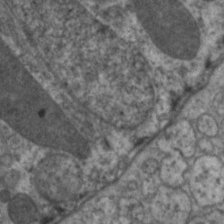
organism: C. elegans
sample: Pharynx